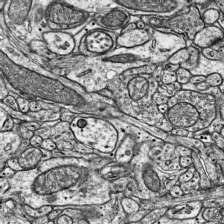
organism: Mouse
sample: Visual Cortex